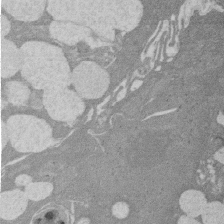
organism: Rat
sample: Salivary granule